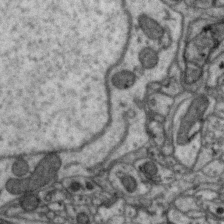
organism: Zebra finch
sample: Brain